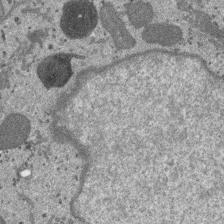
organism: Human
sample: Lung epithelial cells infected with SARS-CoV-2